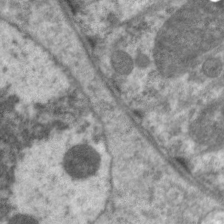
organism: C. elegans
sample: Pharynx